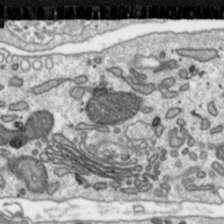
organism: Toxoplasma gondii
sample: Parasites in a vacuole inside a host cell